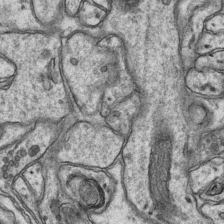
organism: Mouse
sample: CA1 Hippocampus